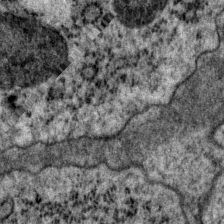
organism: P. pacificus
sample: Pharynx